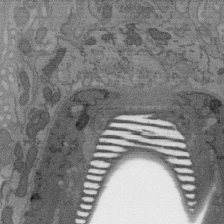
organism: C. elegans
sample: AFD neurons C. elegans